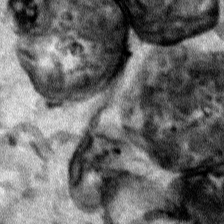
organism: Human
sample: Mitochondria in HCT116 cells